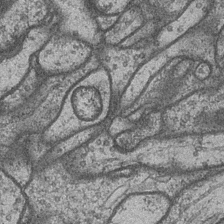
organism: Drosophila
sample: Optic medulla